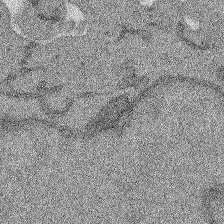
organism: Human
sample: HeLa cells